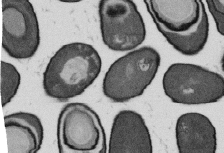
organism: B. subtilis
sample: Bacterial spore